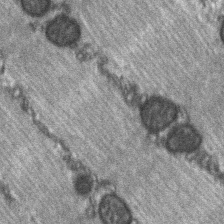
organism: C57BL Mouse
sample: Soleus